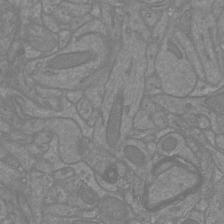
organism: Mouse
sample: Cortical neurons